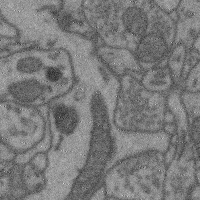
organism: Mouse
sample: Cerebral cortex